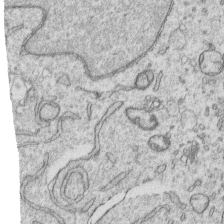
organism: Human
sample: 1205lu cells